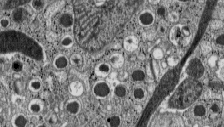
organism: C57BL Mouse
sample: Pancreatic islet